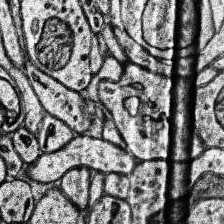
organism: Human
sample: Temporal Lobe